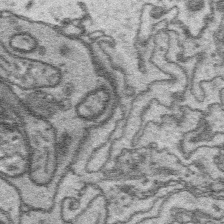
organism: Platynereis dumerilii